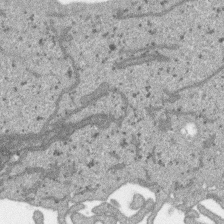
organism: Human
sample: Lung epithelial cells infected with SARS-CoV-2